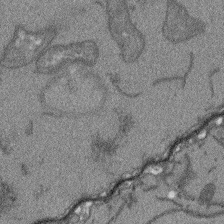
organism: Arabidopsis thaliana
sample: Root tip